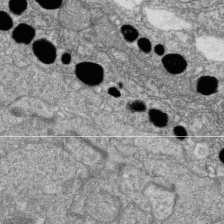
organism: Zebrafish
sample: Cilia; retinal pigment epithelium